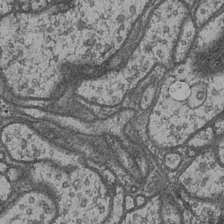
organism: Drosophila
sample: Optic medulla